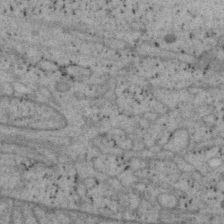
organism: Human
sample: HeLa cells